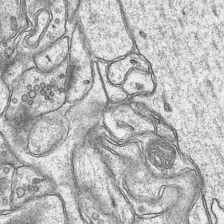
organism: Mouse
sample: CA1 Hippocampus